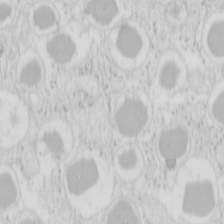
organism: Mouse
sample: Pancreas